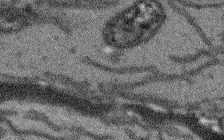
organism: Arabidopsis thaliana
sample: Root tip